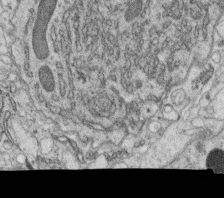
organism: C. elegans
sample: C. elegans oocyte; sperm cells